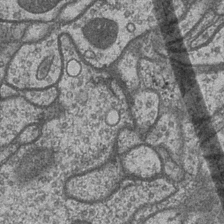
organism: Drosophila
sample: Optic medulla